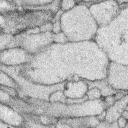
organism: Rabbit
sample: Retina